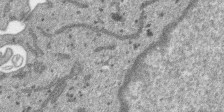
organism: Human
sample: Lung epithelial cells infected with SARS-CoV-2